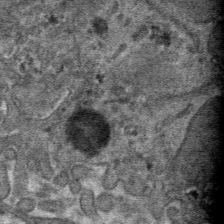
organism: Mouse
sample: Mouse hepatocytes